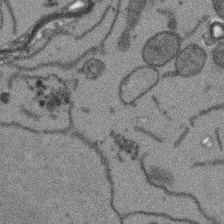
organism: Arabidopsis thaliana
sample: Root tip